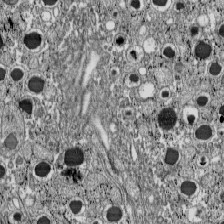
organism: C57BL Mouse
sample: Pancreatic islet